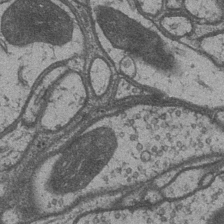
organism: Drosophila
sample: Optic medulla